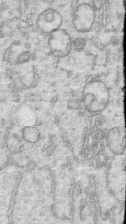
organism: Human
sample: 1205lu cells